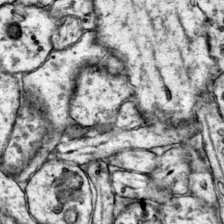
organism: Mouse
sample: Primary visual cortex